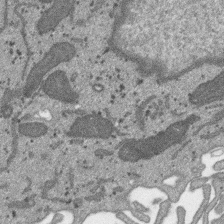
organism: Human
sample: Lung epithelial cells infected with SARS-CoV-2